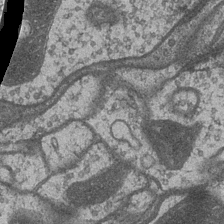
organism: Drosophila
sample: Optic medulla